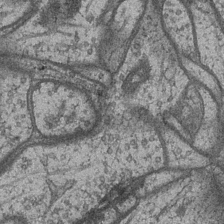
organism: Drosophila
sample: Optic medulla